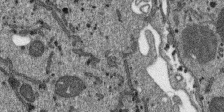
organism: Human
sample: Lung epithelial cells infected with SARS-CoV-2